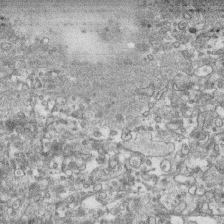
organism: Human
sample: CRL-1474